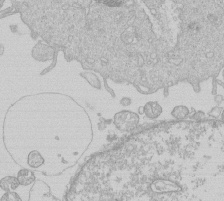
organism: Human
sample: Macrophage cells